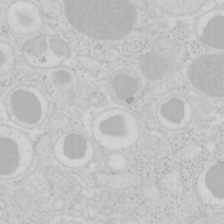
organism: Mouse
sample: Pancreas